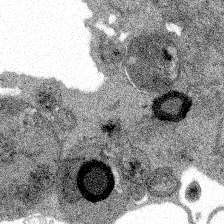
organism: Spongilla lacustris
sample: Multiple